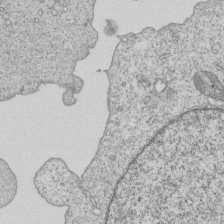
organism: Human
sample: MDA-MB-231 cells